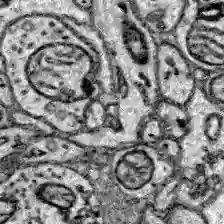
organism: Zebrafish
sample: Brain